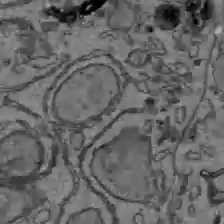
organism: C57BL Mouse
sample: Liver